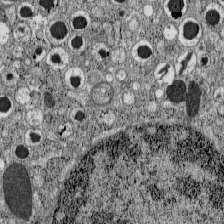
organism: C57BL Mouse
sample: Pancreatic islet